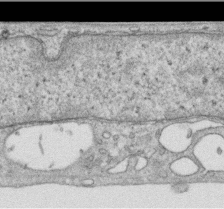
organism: Human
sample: Centriole in RPE cells